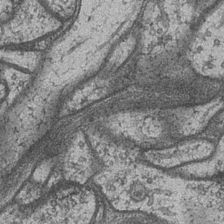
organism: Drosophila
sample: Optic medulla